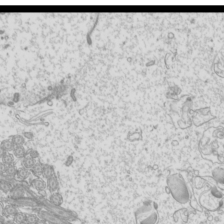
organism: Mouse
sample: Cilia; mouse epididymis